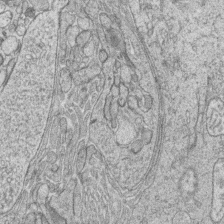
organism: Zebrafish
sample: synaptic ribbons in rod cells and cone cells